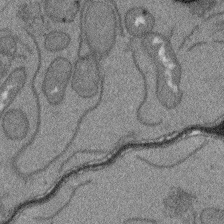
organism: Arabidopsis thaliana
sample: Root tip